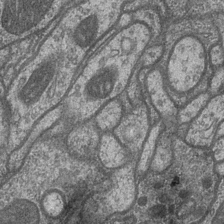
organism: Drosophila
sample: Optic medulla